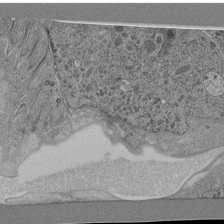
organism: C. elegans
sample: C. elegans pharynx